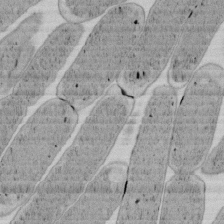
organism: E. coli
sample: Bacterial nucleoid